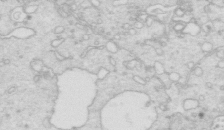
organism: Mouse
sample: Multiciliated cells